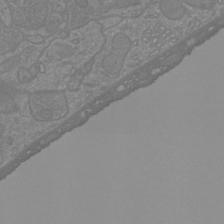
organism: Mouse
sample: Cortical neurons